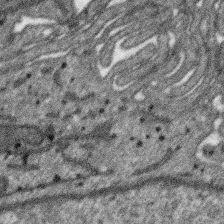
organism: Human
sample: Lung epithelial cells infected with SARS-CoV-2